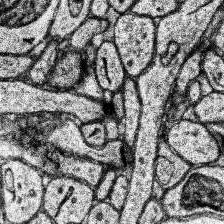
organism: Human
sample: Temporal Lobe